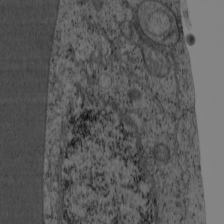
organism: African green monkey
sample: COS-7 cells